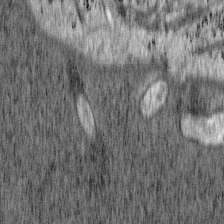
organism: Human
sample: HeLa cells